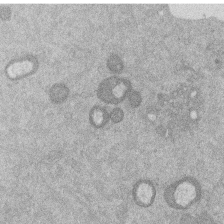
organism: Mouse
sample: Dividing mouse embryo 1 cell stage